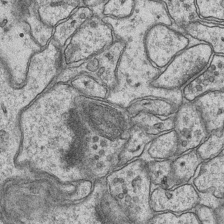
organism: Mouse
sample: CA1 Hippocampus